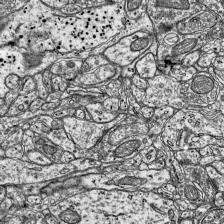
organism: Mouse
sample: Visual Cortex